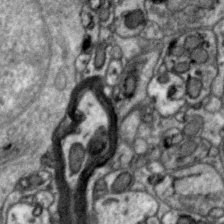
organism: Zebra finch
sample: Brain